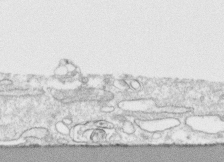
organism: Human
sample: CRL-1474